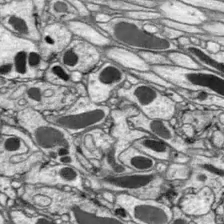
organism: Drosophila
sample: Optic lobe